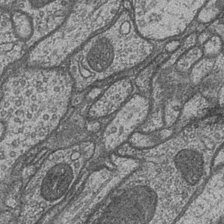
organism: Drosophila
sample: Optic medulla